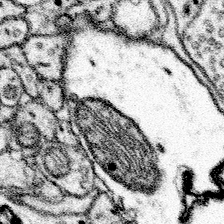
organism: Mouse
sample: Somatosensory cortex neuropil